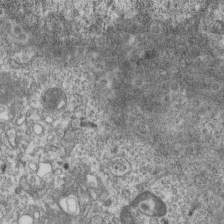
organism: Mouse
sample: Centriole in ependymal cells